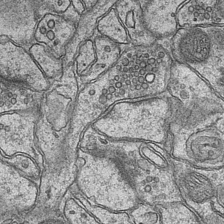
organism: Mouse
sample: CA1 Hippocampus